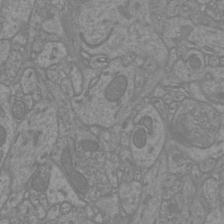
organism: Mouse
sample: Cortical neurons